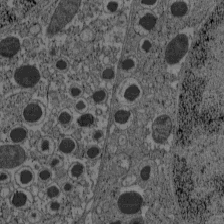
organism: C57BL Mouse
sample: Pancreatic islet